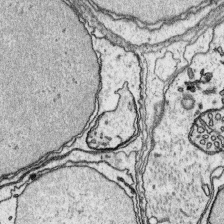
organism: Platynereis dumerilii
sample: Parapodia